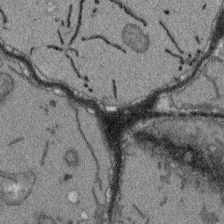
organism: Arabidopsis thaliana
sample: Root tip